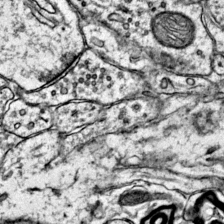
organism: Mouse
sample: Primary visual cortex